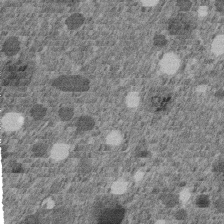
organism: C. elegans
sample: C. elegans embryo early stage